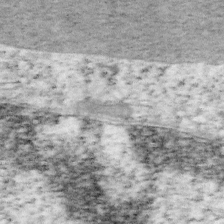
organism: Mouse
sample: OT-I killer T cells with ID8 ovarian cancer cells